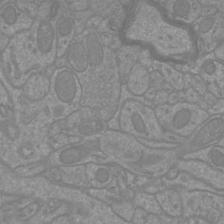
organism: Mouse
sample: Cortical neurons